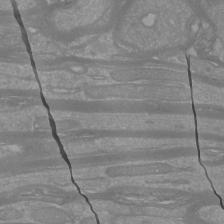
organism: Mouse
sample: Cortical neurons